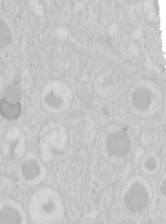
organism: Mouse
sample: Pancreas